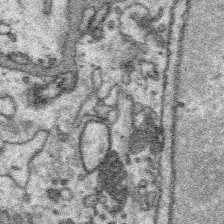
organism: Platynereis dumerilii